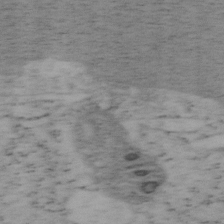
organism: Mouse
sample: OT-I killer T cells with ID8 ovarian cancer cells